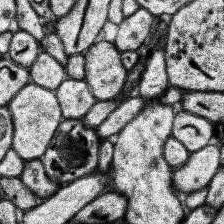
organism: Human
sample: Temporal Lobe